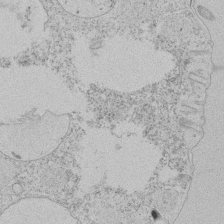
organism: Tetrahymena